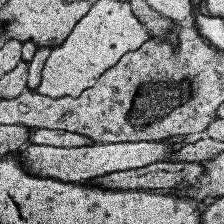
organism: Human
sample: Temporal Lobe